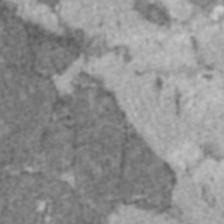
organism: C57BL Mouse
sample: Heart